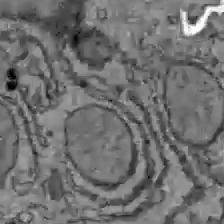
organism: C57BL Mouse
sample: Liver